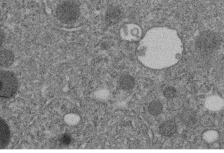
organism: C. elegans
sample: C. elegans embryo early stage